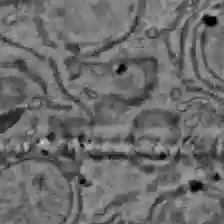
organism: C57BL Mouse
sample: Liver